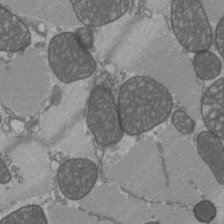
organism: C57BL Mouse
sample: Heart